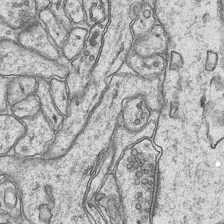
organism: Mouse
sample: CA1 Hippocampus